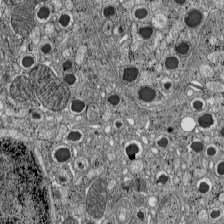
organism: C57BL Mouse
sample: Pancreatic islet